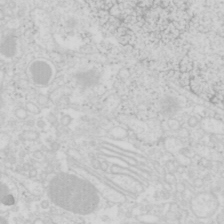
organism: Mouse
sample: Pancreas